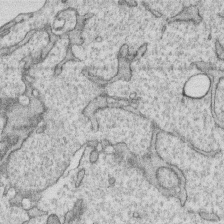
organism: Human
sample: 1205lu cells